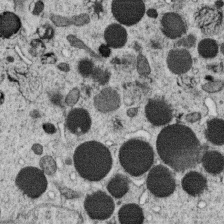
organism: C. elegans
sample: C. elegans oocyte; sperm cells